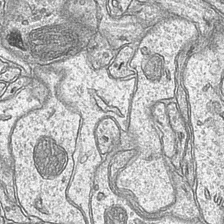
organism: Mouse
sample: CA1 Hippocampus